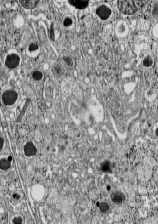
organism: C57BL Mouse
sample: Pancreatic islet